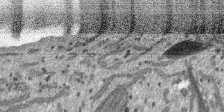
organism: Human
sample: Lung epithelial cells infected with SARS-CoV-2